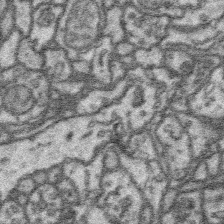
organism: Platynereis dumerilii